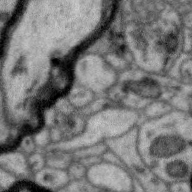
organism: Zebra finch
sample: Brain